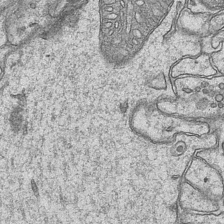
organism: Mouse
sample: CA1 Hippocampus